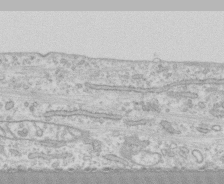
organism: Human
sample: CRL-1474